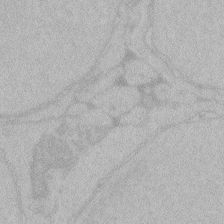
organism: Zebrafish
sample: Macrophage infected with Toxoplasma gondii